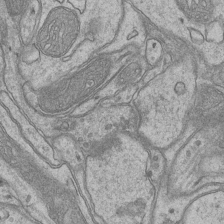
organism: Mouse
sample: CA1 Hippocampus